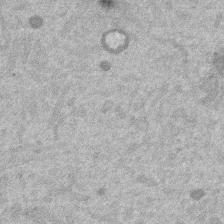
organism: Mouse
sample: Dividing mouse embryo 1 cell stage